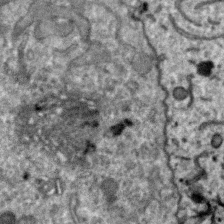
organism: Zebra finch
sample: Brain